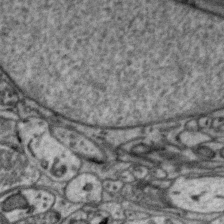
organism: Zebra finch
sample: Brain